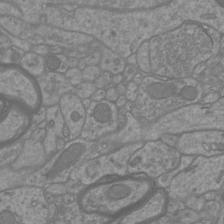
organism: Mouse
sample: Cortical neurons